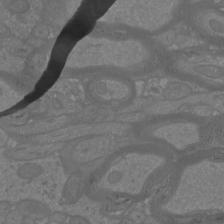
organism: Mouse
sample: Cortical neurons